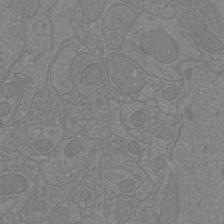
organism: Mouse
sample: Cortical neurons